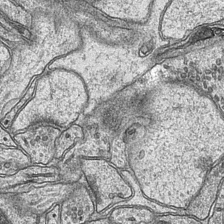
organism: Mouse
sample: CA1 Hippocampus